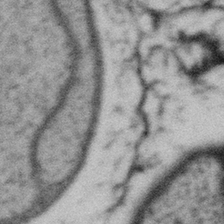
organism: Gemmata obscuriglobus